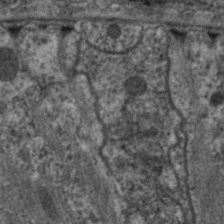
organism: C. elegans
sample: Pharynx